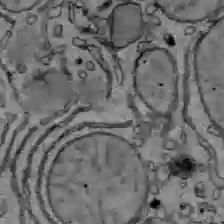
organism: C57BL Mouse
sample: Liver